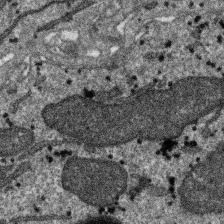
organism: Human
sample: Lung epithelial cells infected with SARS-CoV-2